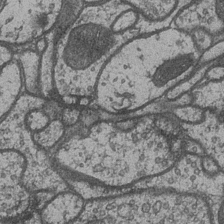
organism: Drosophila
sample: Optic medulla